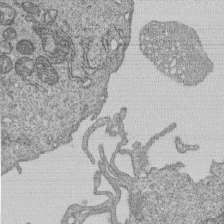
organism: Human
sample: MDA-MB-231 cells